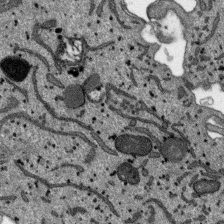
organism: Human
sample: Lung epithelial cells, uninfected (mock) control